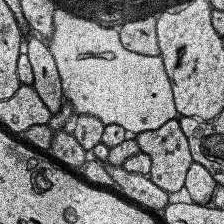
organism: Human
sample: Temporal Lobe